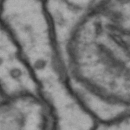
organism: Drosophila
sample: Brain